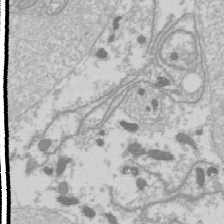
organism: Drosophila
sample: Cell division; meiosis; drosophila spermatocytes